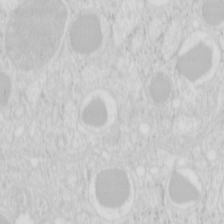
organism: Mouse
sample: Pancreas